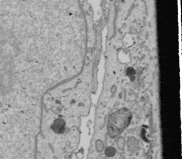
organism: Human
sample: Mitochondria in U2OS cells